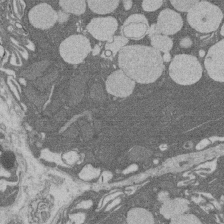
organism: Rat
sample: Salivary granule